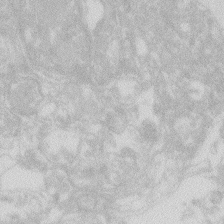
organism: Zebrafish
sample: Macrophage